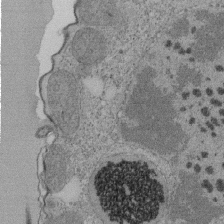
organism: Tetrahymena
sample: Cilia in tetrahymena